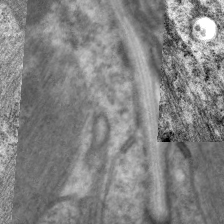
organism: C. elegans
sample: Pharynx